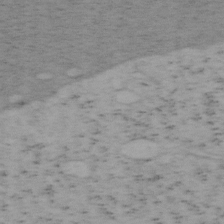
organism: Mouse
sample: OT-I killer T cells with ID8 ovarian cancer cells